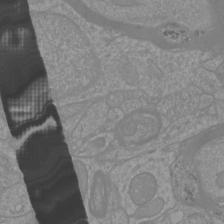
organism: Mouse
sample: Cortical neurons